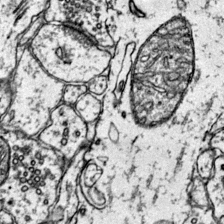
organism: Mouse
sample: Primary visual cortex